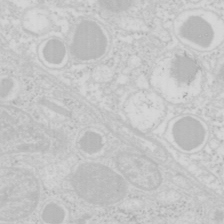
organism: Mouse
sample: Pancreas